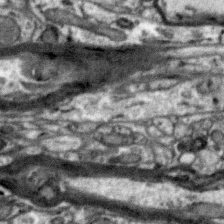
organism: Zebra finch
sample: Brain